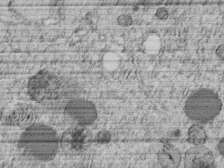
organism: C. elegans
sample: C. elegans embryo early stage